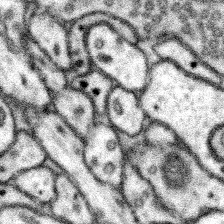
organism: Mouse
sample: Somatosensory cortex neuropil